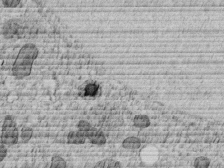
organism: C. elegans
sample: C. elegans embryo early stage